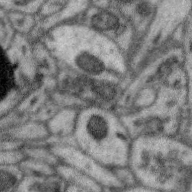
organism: Zebra finch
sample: Brain